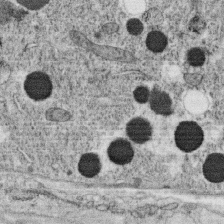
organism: C. elegans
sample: C. elegans oocyte; sperm cells